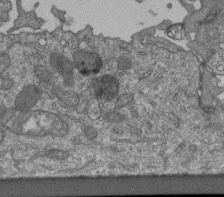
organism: Human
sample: Retinal organoid Rod and Cone cells